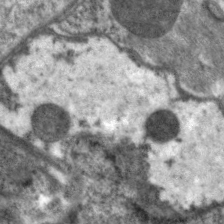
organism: C. elegans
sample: Pharynx